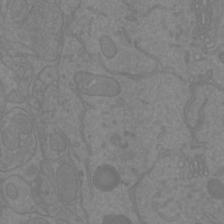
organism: Mouse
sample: Cortical neurons